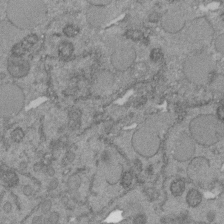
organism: C. elegans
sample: C. elegans embryo early stage